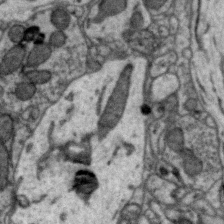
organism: Zebra finch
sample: Brain